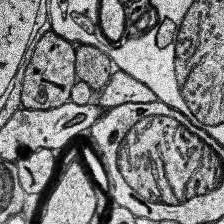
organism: Human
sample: Temporal Lobe